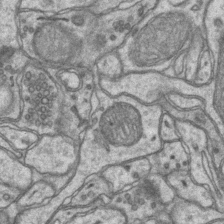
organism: Mouse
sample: CA1 Hippocampus